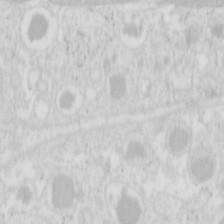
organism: Mouse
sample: Pancreas